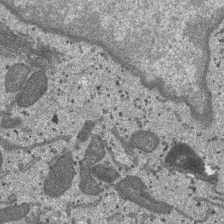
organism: Human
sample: Lung epithelial cells infected with SARS-CoV-2